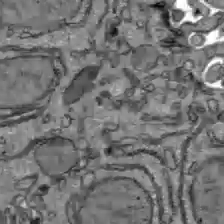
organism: C57BL Mouse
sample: Liver